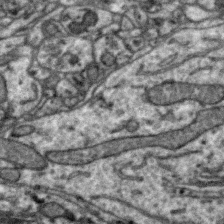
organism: Zebra finch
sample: Brain